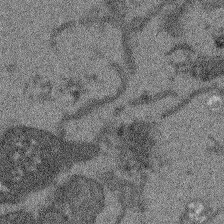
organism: Arabidopsis thaliana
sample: Root tip